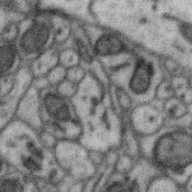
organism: Zebra finch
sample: Brain